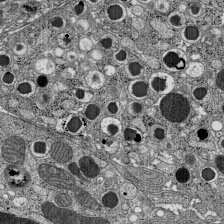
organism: C57BL Mouse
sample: Pancreatic islet